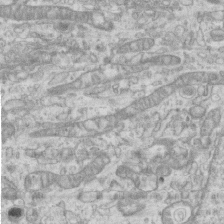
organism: Mouse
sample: Centriole in ependymal cells